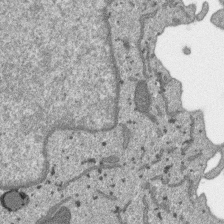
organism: Human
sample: Lung epithelial cells infected with SARS-CoV-2